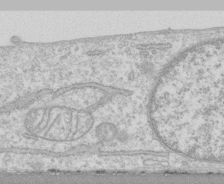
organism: Human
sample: CRL-1474